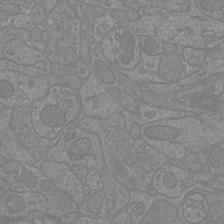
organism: Mouse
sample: Cortical neurons